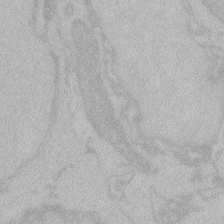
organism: Zebrafish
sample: Macrophage infected with Toxoplasma gondii